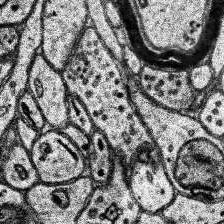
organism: Human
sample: Temporal Lobe